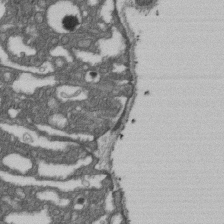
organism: Drosophila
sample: Nephrocyte